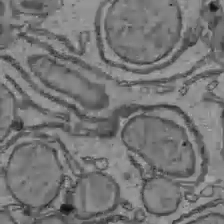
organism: C57BL Mouse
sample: Liver